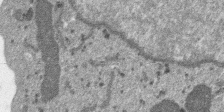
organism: Human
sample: Lung epithelial cells infected with SARS-CoV-2